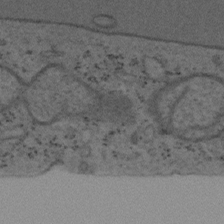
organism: Human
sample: HeLa cells